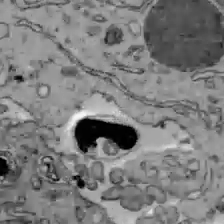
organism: C57BL Mouse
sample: Liver